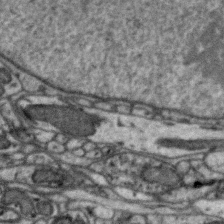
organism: Zebra finch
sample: Brain